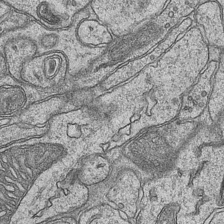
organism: Mouse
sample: CA1 Hippocampus